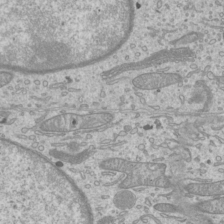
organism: Mouse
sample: Cilia; mouse epididymis